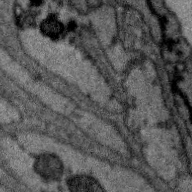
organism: Zebra finch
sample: Brain